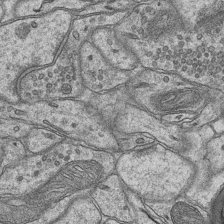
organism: Mouse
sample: CA1 Hippocampus